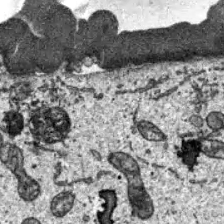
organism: Human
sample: HeLa cells